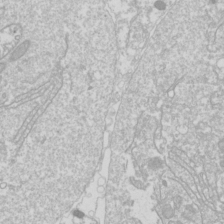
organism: Drosophila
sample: Cell division; meiosis; drosophila spermatocytes